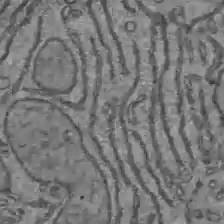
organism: C57BL Mouse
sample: Liver